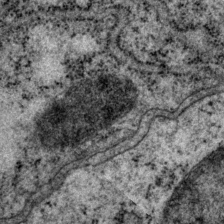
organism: P. pacificus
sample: Pharynx